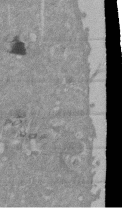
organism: Mouse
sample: ED-1 cell nuclei; centrioles